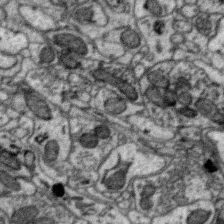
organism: Zebra finch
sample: Brain